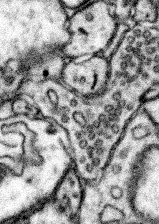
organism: Mouse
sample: Somatosensory cortex neuropil